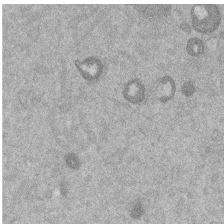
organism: Mouse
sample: Dividing mouse embryo 1 cell stage